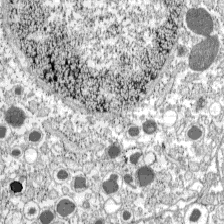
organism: C57BL Mouse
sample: Pancreatic islet